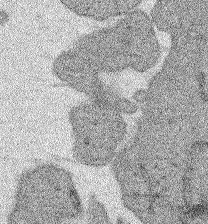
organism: Human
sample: HeLa cells